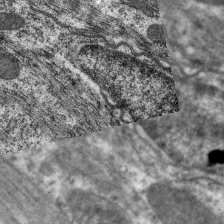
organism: C. elegans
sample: Pharynx